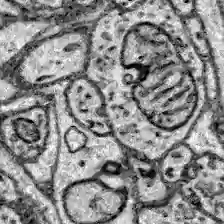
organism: Zebrafish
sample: Brain